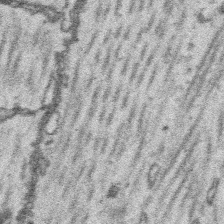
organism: Platynereis dumerilii